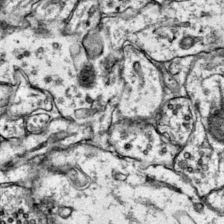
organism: Mouse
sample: Primary visual cortex